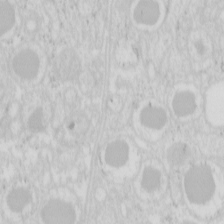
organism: Mouse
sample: Pancreas